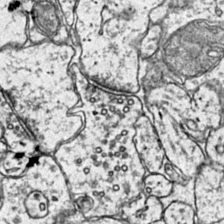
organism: Mouse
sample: Primary visual cortex